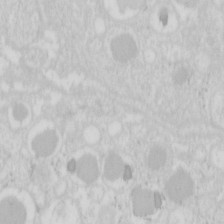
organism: Mouse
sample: Pancreas